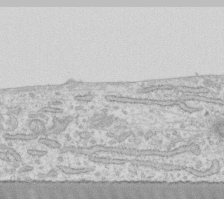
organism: Human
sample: Fibroblast cells